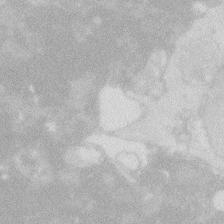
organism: Zebrafish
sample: Macrophage